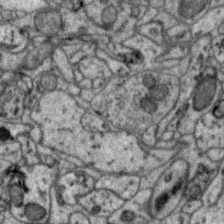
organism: Zebra finch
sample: Brain